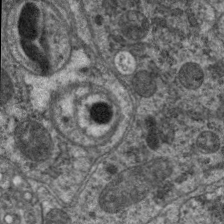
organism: C. elegans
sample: Pharynx